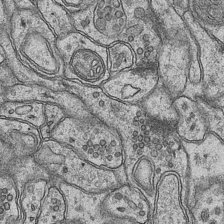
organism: Mouse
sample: CA1 Hippocampus